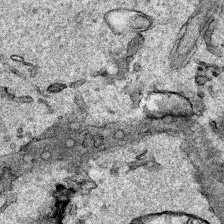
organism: Human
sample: Mitochondria in HCT116 cells